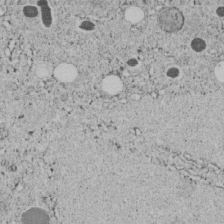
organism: C. elegans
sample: C. elegans embryo early stage